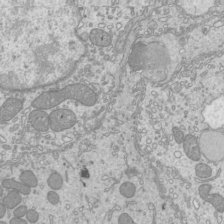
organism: Mouse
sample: Cilia; mouse epididymis